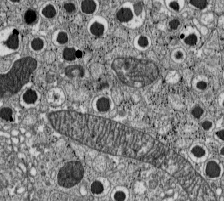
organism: C57BL Mouse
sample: Pancreatic islet